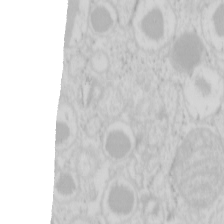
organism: Mouse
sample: Pancreas